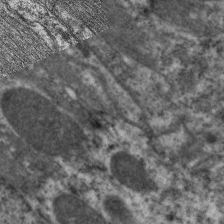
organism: C. elegans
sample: Pharynx